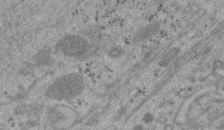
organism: Human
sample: HeLa cells